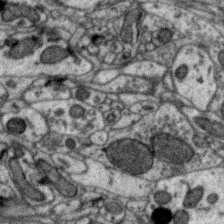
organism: Zebra finch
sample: Brain